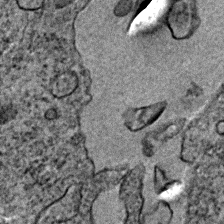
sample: Trachea